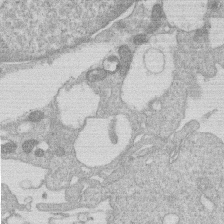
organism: Human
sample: Macrophage cells